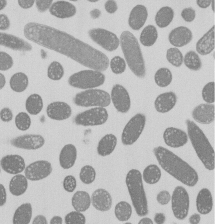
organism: E. coli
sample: Bacterial nucleoid